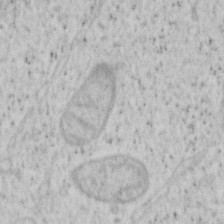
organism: Human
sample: HeLa cells